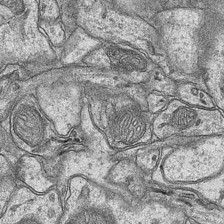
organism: Mouse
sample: CA1 Hippocampus